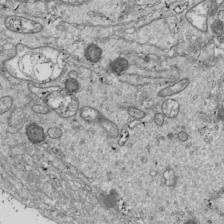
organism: Drosophila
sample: Cell division; meiosis; drosophila spermatocytes